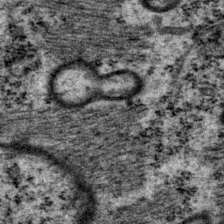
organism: P. pacificus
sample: Pharynx